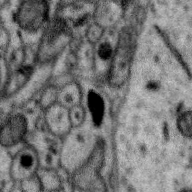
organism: Zebra finch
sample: Brain